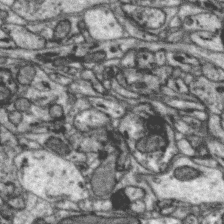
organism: Zebra finch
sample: Brain